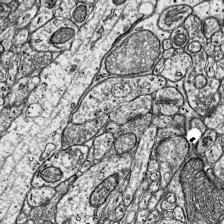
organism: Mouse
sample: Visual Cortex